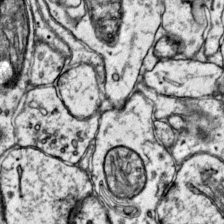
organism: Mouse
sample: Primary visual cortex